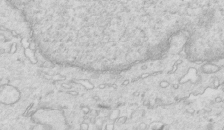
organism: Mouse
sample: Multiciliated cells